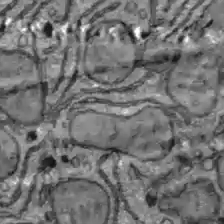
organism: C57BL Mouse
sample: Liver